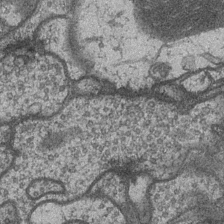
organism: Drosophila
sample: Optic medulla